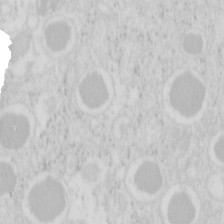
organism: Mouse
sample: Pancreas